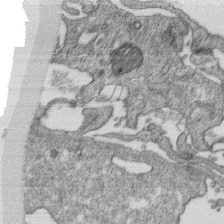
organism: African green monkey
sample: Vero E6 cells infected with SARS-CoV-2